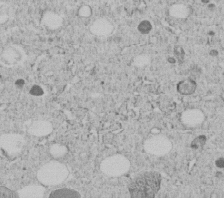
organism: C. elegans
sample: C. elegans embryo early stage